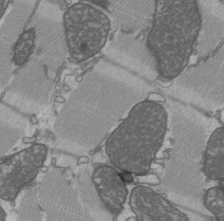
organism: C57BL Mouse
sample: Heart